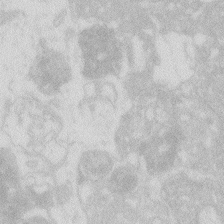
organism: Zebrafish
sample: Macrophage